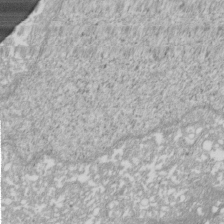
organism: Xenopus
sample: Cilia; centrioles in frog embryo cells